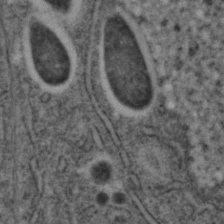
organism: C. elegans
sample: C. elegans embryo